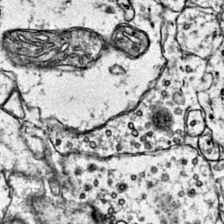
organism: Mouse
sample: Primary visual cortex